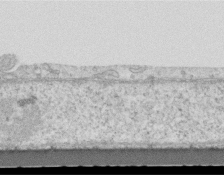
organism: Mouse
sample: Centriole in ependymal cells